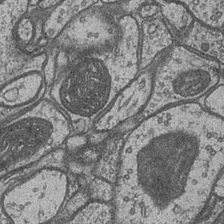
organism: Drosophila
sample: Optic medulla